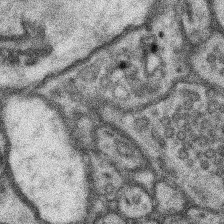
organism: Mouse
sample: Somatosensory cortex neuropil